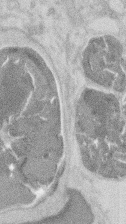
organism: Mouse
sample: T cell stromal cell synapse